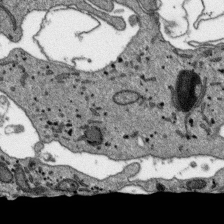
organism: Human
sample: Lung epithelial cells, uninfected (mock) control